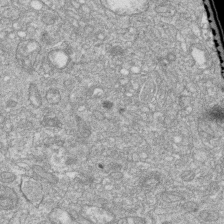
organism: Human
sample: HeLa cell HIV synapse